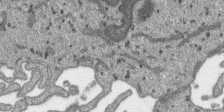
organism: Human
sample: Lung epithelial cells infected with SARS-CoV-2